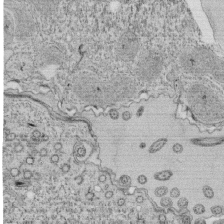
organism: Tetrahymena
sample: Cilia in tetrahymena